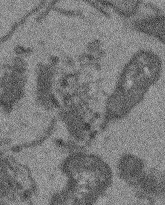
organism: Arabidopsis thaliana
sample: Root tip